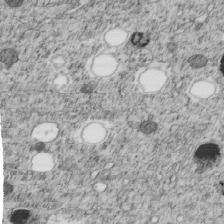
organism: C. elegans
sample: C. elegans embryo early stage